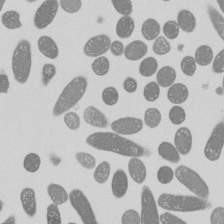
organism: E. coli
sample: Bacterial nucleoid